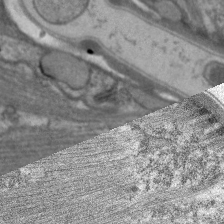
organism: C. elegans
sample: Pharynx